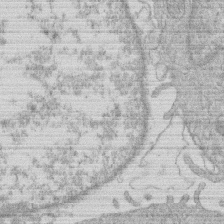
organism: Human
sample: Macrophage cells